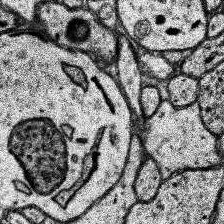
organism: Human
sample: Temporal Lobe